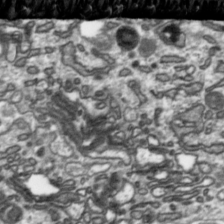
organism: Toxoplasma gondii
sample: Parasites in a vacuole inside a host cell